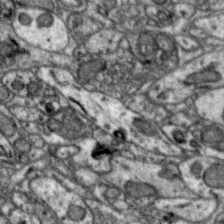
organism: Zebra finch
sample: Brain